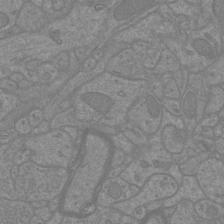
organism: Mouse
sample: Cortical neurons